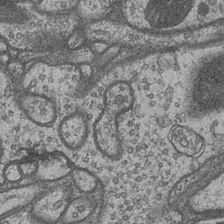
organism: Drosophila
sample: Optic medulla